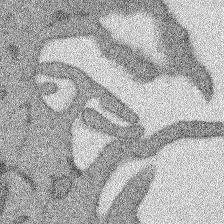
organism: Human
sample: HeLa cells